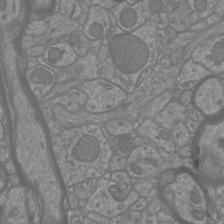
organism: Mouse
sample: Cortical neurons